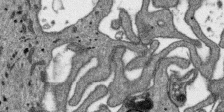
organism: Human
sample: Lung epithelial cells, uninfected (mock) control